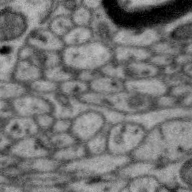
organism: Zebra finch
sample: Brain